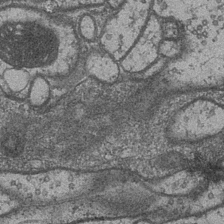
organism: Drosophila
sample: Optic medulla